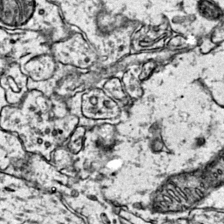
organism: Mouse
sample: Primary visual cortex